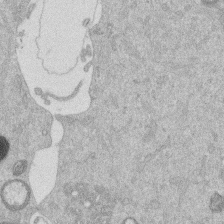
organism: Mouse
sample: Dividing mouse embryo 1 cell stage